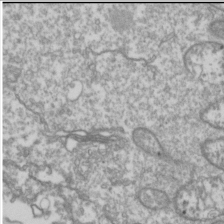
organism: Drosophila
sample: Cell division; meiosis; drosophila spermatocytes